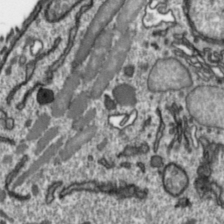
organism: Toxoplasma gondii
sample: Parasites in a vacuole inside a host cell